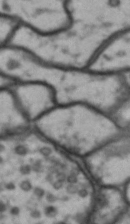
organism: Drosophila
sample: Brain